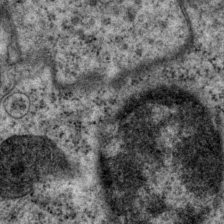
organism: P. pacificus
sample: Pharynx